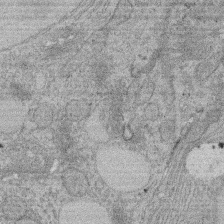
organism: Rat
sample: Salivary granule